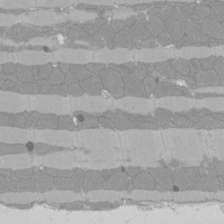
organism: Rat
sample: Left ventricle